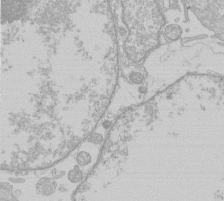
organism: Human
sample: Macrophage cells